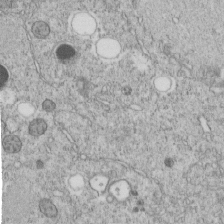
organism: C. elegans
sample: C. elegans embryo early stage